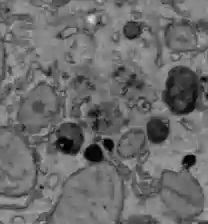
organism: C57BL Mouse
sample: Liver